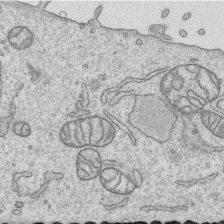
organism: Human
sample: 1205lu cells